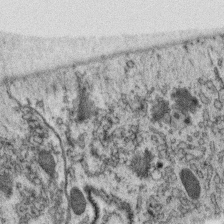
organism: C. elegans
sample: C. elegans oocyte; sperm cells